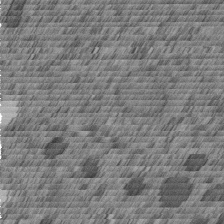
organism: C. elegans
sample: C. elegans embryo early stage